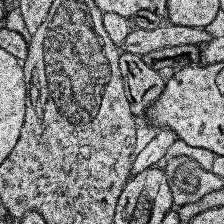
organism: Human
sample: Temporal Lobe